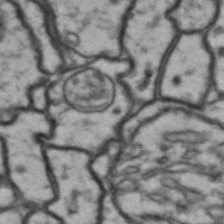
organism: Drosophila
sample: Brain